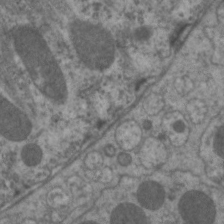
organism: C. elegans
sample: Pharynx